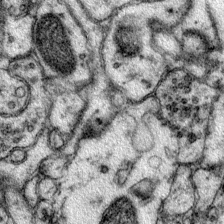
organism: Mouse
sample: Primary visual cortex